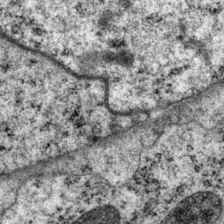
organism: P. pacificus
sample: Pharynx